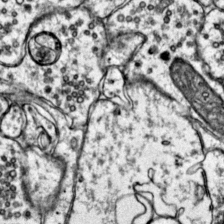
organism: Mouse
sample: Primary visual cortex